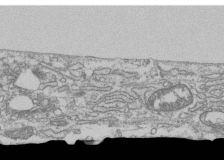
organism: Human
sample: Fibroblast cells